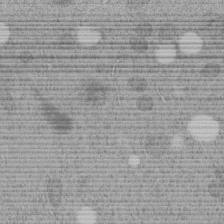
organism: C. elegans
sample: C. elegans embryo early stage